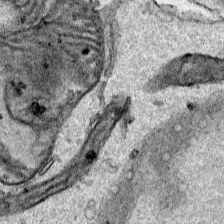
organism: Human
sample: Mitochondria in HCT116 cells